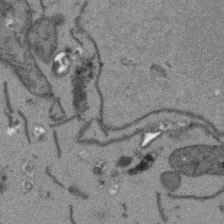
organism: Arabidopsis thaliana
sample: Root tip